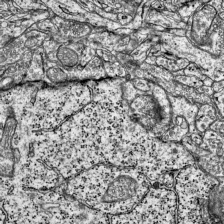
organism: Mouse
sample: Visual Cortex